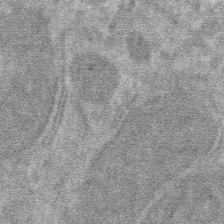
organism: Mouse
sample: Mouse hepatocytes